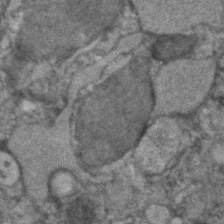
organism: Human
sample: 1205lu cells